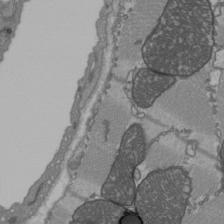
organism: C57BL Mouse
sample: Heart